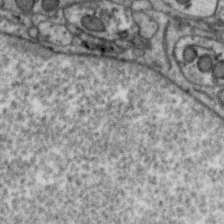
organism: Zebra finch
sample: Brain